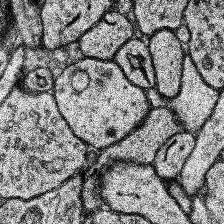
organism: Human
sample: Temporal Lobe